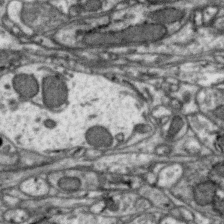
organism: Zebra finch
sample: Brain